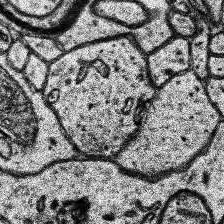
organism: Human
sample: Temporal Lobe